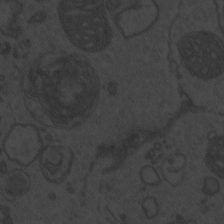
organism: Zebrafish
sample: Macrophage infected with Toxoplasma gondii